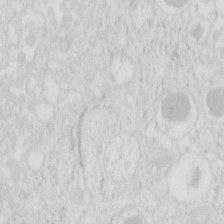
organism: Mouse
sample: Pancreas